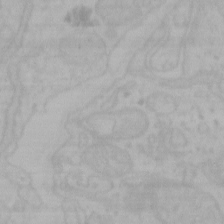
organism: Mouse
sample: Choroid plexus